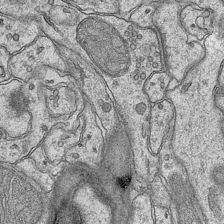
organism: Mouse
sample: CA1 Hippocampus